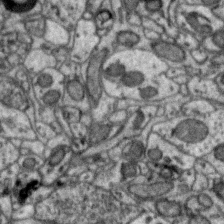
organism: Zebra finch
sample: Brain